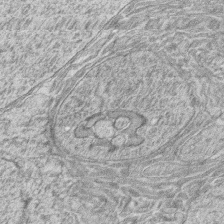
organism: Zebrafish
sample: synaptic ribbons in rod cells and cone cells